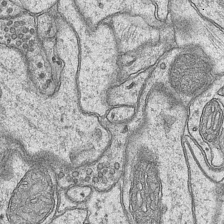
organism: Mouse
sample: CA1 Hippocampus